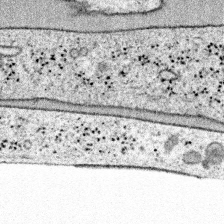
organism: Human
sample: HeLa cells